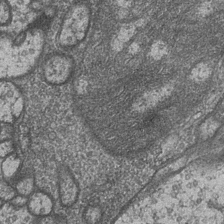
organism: Drosophila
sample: Optic medulla